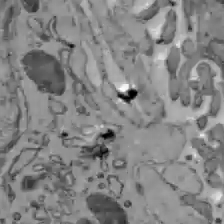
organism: C57BL Mouse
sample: Liver